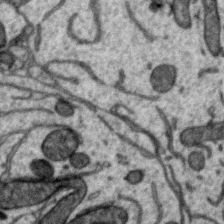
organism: Zebra finch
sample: Brain